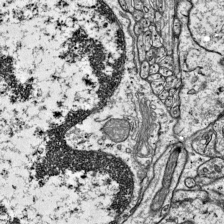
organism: Mouse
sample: Visual Cortex